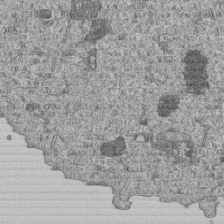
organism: Human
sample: MDA-MB-231 cells